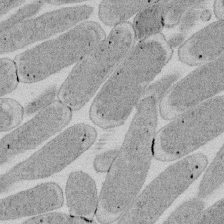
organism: E. coli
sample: Bacterial nucleoid